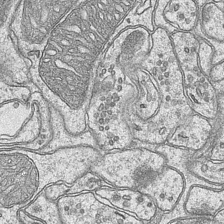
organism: Mouse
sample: CA1 Hippocampus